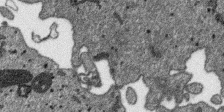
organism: Human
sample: Lung epithelial cells infected with SARS-CoV-2